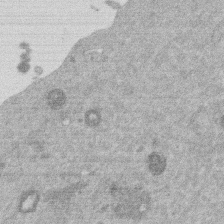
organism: Mouse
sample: Dividing mouse embryo 1 cell stage